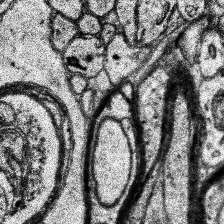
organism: Human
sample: Temporal Lobe